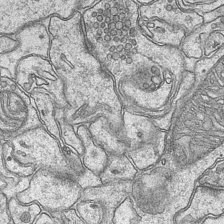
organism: Mouse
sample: CA1 Hippocampus